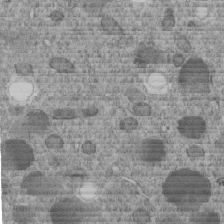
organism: C. elegans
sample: C. elegans embryo early stage